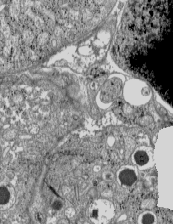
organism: C57BL Mouse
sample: Pancreatic islet